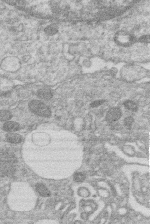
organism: Human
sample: Macrophage cells